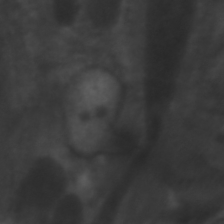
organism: C. elegans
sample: Pharynx